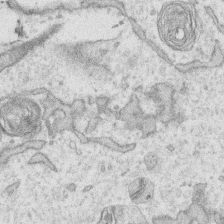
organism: Human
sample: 1205lu cells